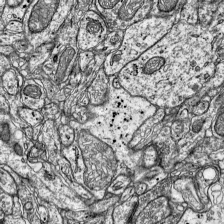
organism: Mouse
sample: Visual Cortex